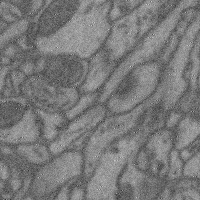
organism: Mouse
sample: Cerebral cortex